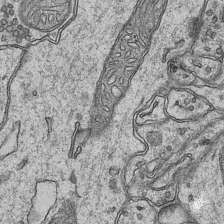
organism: Mouse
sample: CA1 Hippocampus